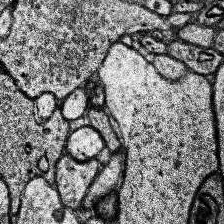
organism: Human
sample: Temporal Lobe